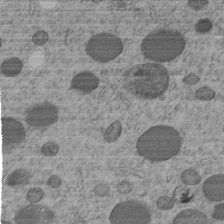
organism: C. elegans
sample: C. elegans embryo early stage